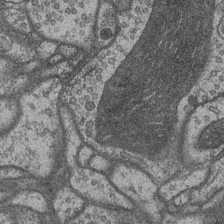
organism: Drosophila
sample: Optic medulla